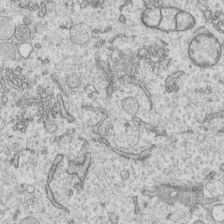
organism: Human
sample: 1205lu cells